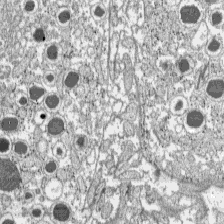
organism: C57BL Mouse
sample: Pancreatic islet